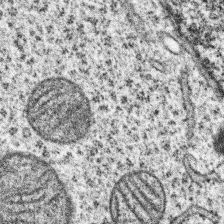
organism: Human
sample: HeLa cells